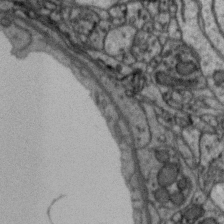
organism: Zebra finch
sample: Brain